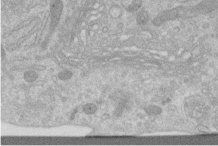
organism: Human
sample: Centriole in RPE cells